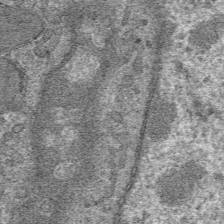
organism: Mouse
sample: Mouse hepatocytes